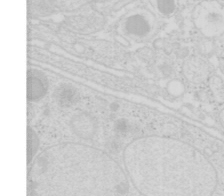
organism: Mouse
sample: Pancreas